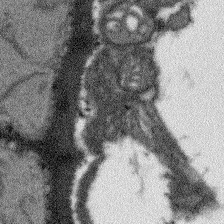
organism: Arabidopsis thaliana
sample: Root tip